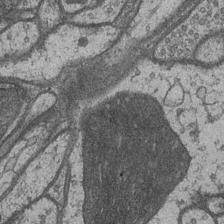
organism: Drosophila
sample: Optic medulla